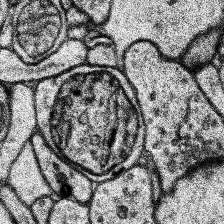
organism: Human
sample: Temporal Lobe